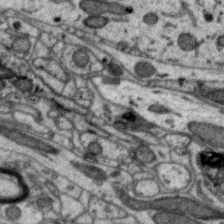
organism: Zebra finch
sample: Brain